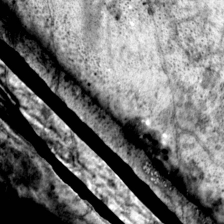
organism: Mouse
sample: Primary visual cortex